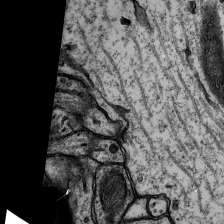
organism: Rat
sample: Hippocampus